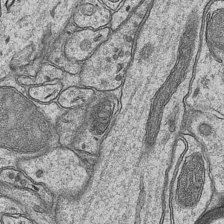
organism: Mouse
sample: CA1 Hippocampus